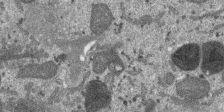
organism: Human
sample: Lung epithelial cells infected with SARS-CoV-2